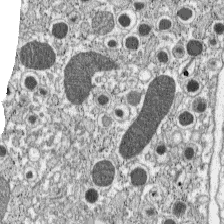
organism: C57BL Mouse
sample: Pancreatic islet